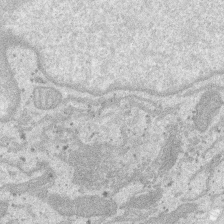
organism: Human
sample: Lung epithelial cells infected with SARS-CoV-2